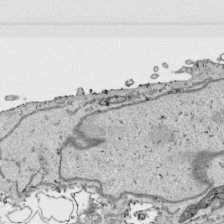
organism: Human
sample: Mitochondria in HCT116 cells